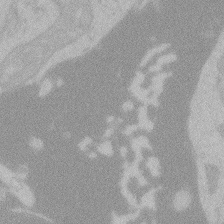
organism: Zebrafish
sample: Macrophage infected with Toxoplasma gondii